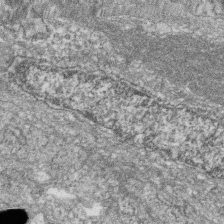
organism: Zebrafish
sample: Cilia; retinal pigment epithelium